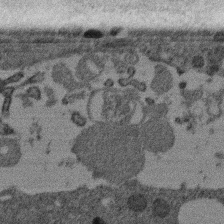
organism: Mouse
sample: Dividing mouse embryo 1 cell stage